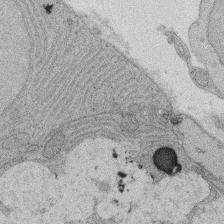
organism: Rat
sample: Salivary granule